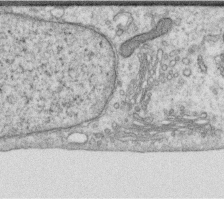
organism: Human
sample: Centriole in RPE cells